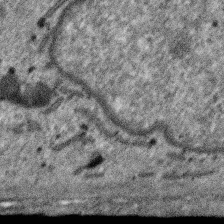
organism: Human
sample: Lung epithelial cells infected with SARS-CoV-2